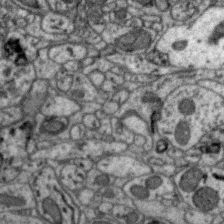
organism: Zebra finch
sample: Brain